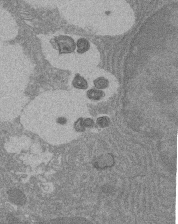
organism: Rat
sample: Salivary granule